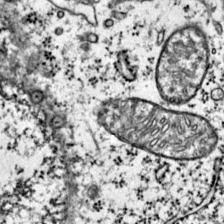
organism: Mouse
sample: Primary visual cortex